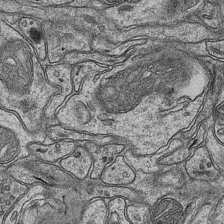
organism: Mouse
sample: CA1 Hippocampus